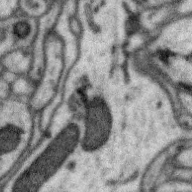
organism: Zebra finch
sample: Brain